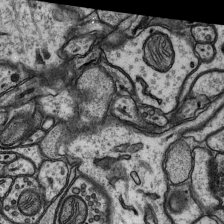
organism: Rat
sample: Hippocampus